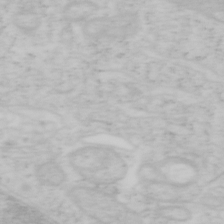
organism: Mouse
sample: OT-I killer T cells with ID8 ovarian cancer cells